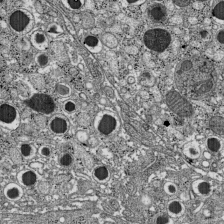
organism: C57BL Mouse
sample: Pancreatic islet